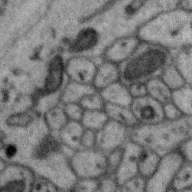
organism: Zebra finch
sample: Brain